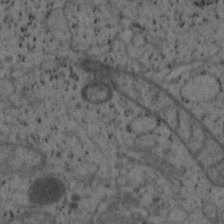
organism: Human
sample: HeLa cells